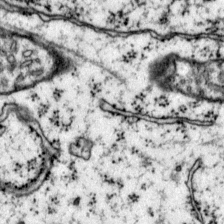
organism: Mouse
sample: Primary visual cortex